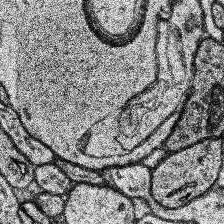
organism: Human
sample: Temporal Lobe